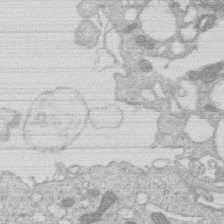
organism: Human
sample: Macrophage cells